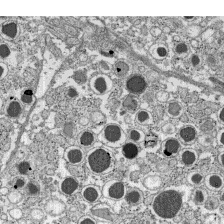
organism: C57BL Mouse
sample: Pancreatic islet